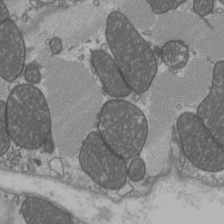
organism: C57BL Mouse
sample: Heart